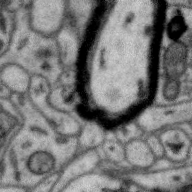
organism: Zebra finch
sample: Brain